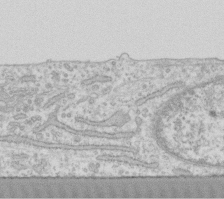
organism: Human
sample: Fibroblast cells